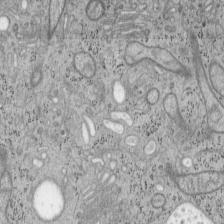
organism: Mouse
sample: OT-I killer T cells with ID8 ovarian cancer cells